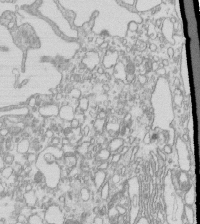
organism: Mouse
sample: Macrophages